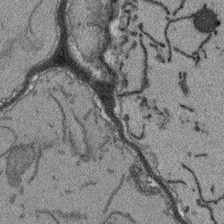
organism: Arabidopsis thaliana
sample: Root tip